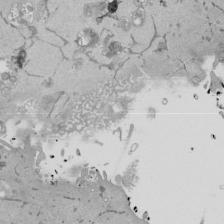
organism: Mouse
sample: ED-1 cell nuclei; centrioles